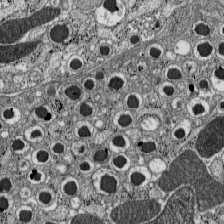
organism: C57BL Mouse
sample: Pancreatic islet